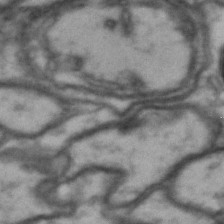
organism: Drosophila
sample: Brain